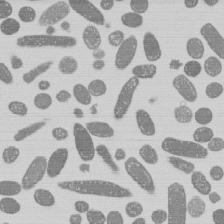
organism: E. coli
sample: Bacterial nucleoid